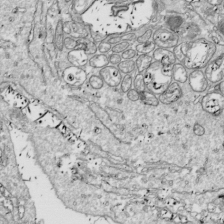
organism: Drosophila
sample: Cell division; meiosis; drosophila spermatocytes